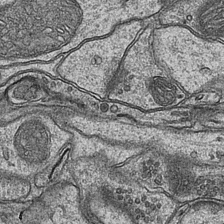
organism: Mouse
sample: CA1 Hippocampus